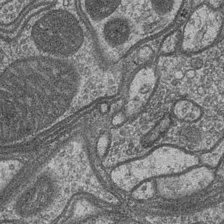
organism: Drosophila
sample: Optic medulla